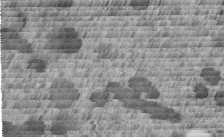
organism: C. elegans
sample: C. elegans embryo early stage